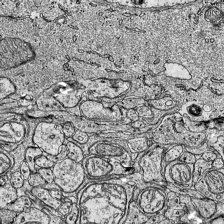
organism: Mouse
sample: Visual Cortex